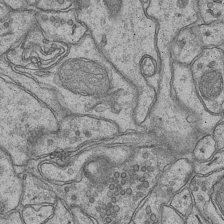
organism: Mouse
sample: CA1 Hippocampus